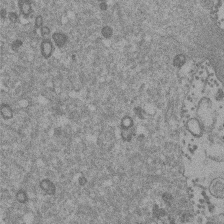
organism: Mouse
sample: Dividing mouse embryo 1 cell stage